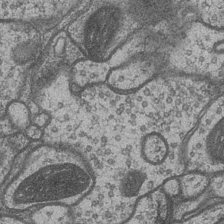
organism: Drosophila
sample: Optic medulla